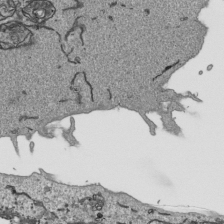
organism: Human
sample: Mitochondria in HCT116 cells